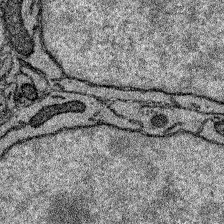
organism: Zebrafish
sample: Larval olfactory bulb